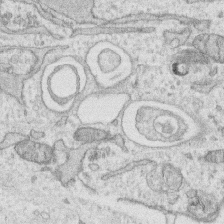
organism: Human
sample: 1205lu cells